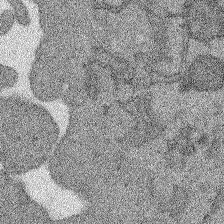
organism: Human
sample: HeLa cells